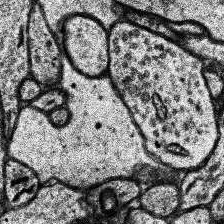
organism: Human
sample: Temporal Lobe